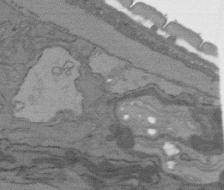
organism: C. elegans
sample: AFD neurons C. elegans